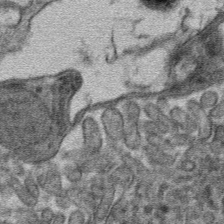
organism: Mouse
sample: Mouse hepatocytes